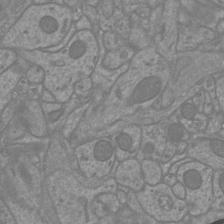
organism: Mouse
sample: Cortical neurons